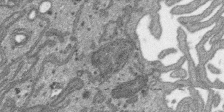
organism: Human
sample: Lung epithelial cells infected with SARS-CoV-2